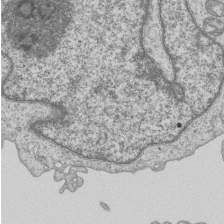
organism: Human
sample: MDA-MB-231 cells